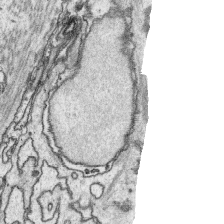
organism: Platynereis dumerilii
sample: Parapodia